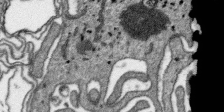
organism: Human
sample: Lung epithelial cells, uninfected (mock) control